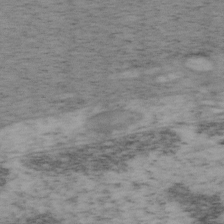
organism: Mouse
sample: OT-I killer T cells with ID8 ovarian cancer cells